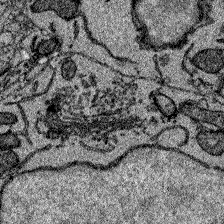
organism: Zebrafish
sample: Larval olfactory bulb